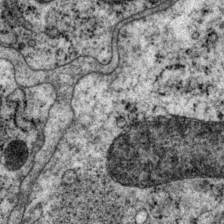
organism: P. pacificus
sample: Pharynx